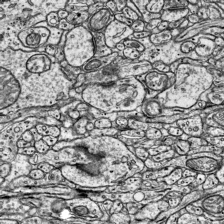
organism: Mouse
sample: Visual Cortex